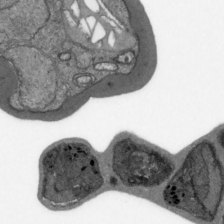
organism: Plasmodium falciparum